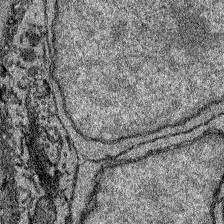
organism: Zebrafish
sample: Larval olfactory bulb